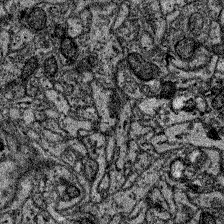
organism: Zebrafish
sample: Larval olfactory bulb